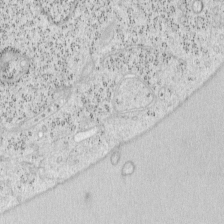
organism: Mouse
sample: OT-I killer T cells with ID8 ovarian cancer cells